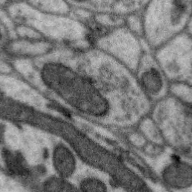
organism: Zebra finch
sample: Brain